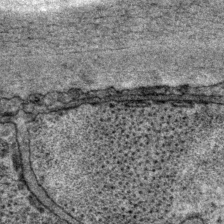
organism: P. pacificus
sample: Pharynx